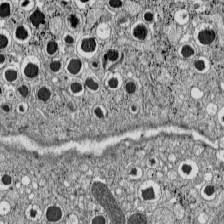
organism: C57BL Mouse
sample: Pancreatic islet